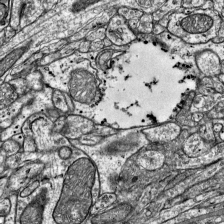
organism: Mouse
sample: Visual Cortex